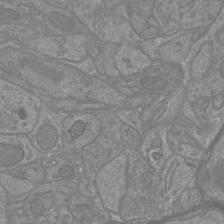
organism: Mouse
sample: Cortical neurons